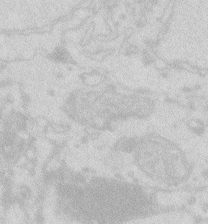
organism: Zebrafish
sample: Macrophage